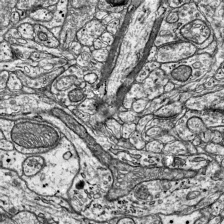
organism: Mouse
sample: Visual Cortex